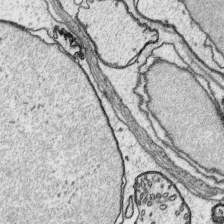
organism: Platynereis dumerilii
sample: Parapodia